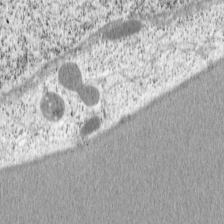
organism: African green monkey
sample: COS-7 cells